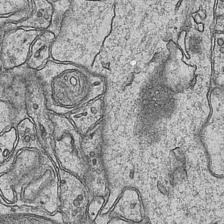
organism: Mouse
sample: CA1 Hippocampus